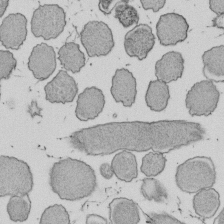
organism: E. coli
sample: Bacterial nucleoid